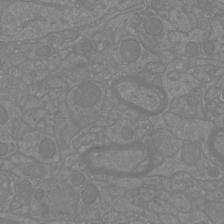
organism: Mouse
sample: Cortical neurons